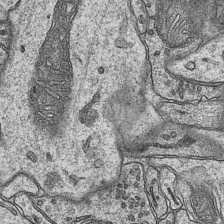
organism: Mouse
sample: CA1 Hippocampus